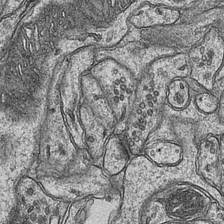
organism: Mouse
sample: CA1 Hippocampus